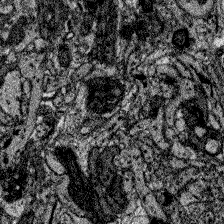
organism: Zebrafish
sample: Larval olfactory bulb